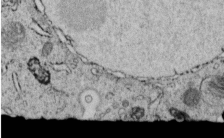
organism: C. elegans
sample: C. elegans embryo early stage